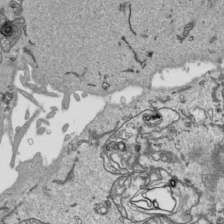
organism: Human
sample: Mitochondria in HCT116 cells